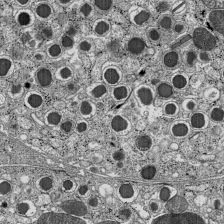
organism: C57BL Mouse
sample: Pancreatic islet